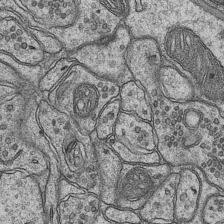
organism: Mouse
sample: CA1 Hippocampus